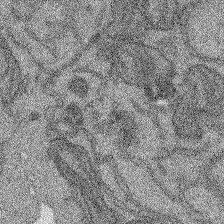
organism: Human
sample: HeLa cells